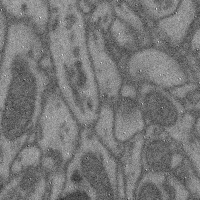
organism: Mouse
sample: Cerebral cortex